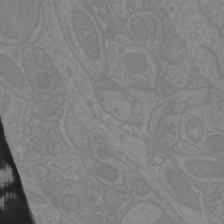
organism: Mouse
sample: Cortical neurons